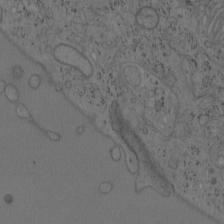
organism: Mouse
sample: OT-I killer T cells with ID8 ovarian cancer cells